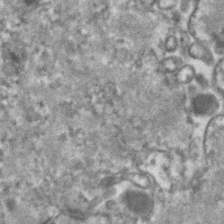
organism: Human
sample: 1205lu cells